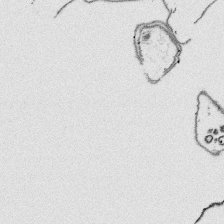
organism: Platynereis dumerilii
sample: Parapodia